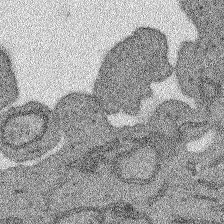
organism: Human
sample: HeLa cells